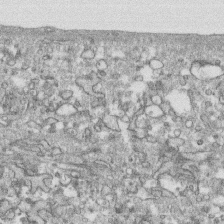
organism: Human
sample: CRL-1474